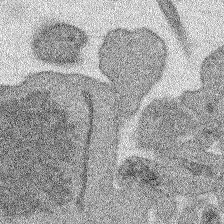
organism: Human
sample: HeLa cells